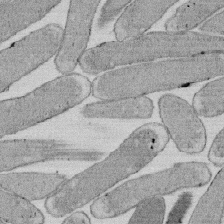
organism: E. coli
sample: Bacterial nucleoid